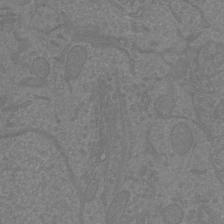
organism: Mouse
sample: Cortical neurons